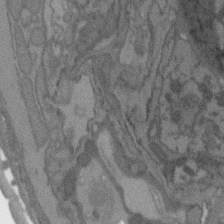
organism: C. elegans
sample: AFD neurons C. elegans